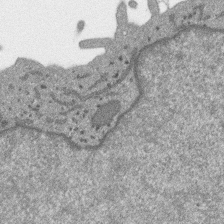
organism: Human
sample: Lung epithelial cells infected with SARS-CoV-2